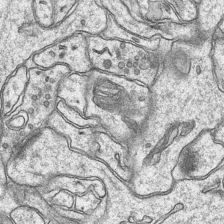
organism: Mouse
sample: CA1 Hippocampus